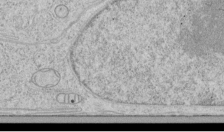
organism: Human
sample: Mitochondria in HCT116 cells